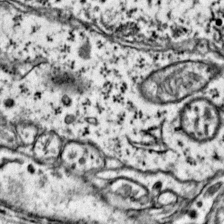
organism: Mouse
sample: Primary visual cortex